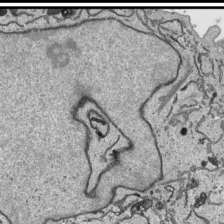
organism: Human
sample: Mitochondria in HCT116 cells